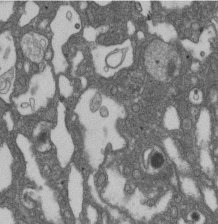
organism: Drosophila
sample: Nephrocyte